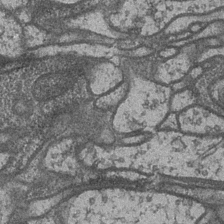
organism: Drosophila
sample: Optic medulla